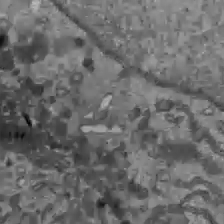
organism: C57BL Mouse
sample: Liver